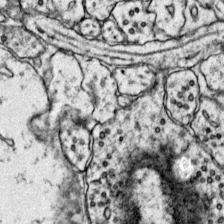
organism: Mouse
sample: Primary visual cortex